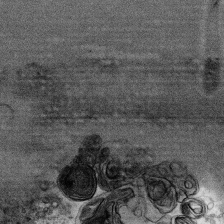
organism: Human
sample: CRL-1474